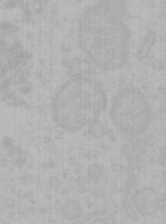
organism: Mouse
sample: Choroid plexus